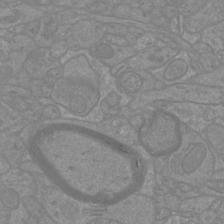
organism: Mouse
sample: Cortical neurons